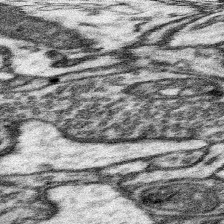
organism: Mouse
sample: Somatosensory cortex neuropil